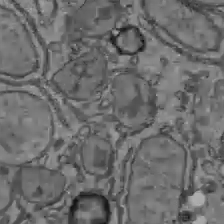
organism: C57BL Mouse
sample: Liver